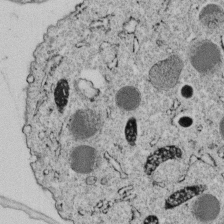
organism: C. elegans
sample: C. elegans embryo early stage